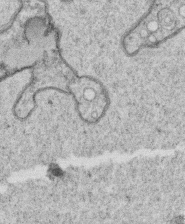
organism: C. elegans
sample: C. elegans oocyte; sperm cells